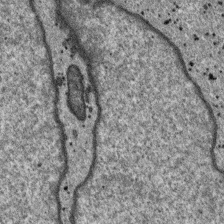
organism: Human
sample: Lung epithelial cells, uninfected (mock) control